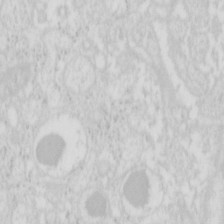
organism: Mouse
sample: Pancreas